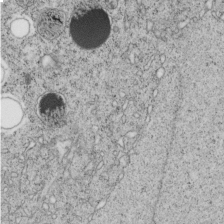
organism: C. elegans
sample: C. elegans embryo early stage